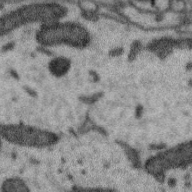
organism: Zebra finch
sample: Brain